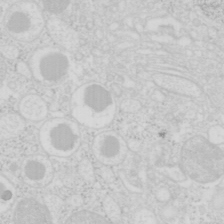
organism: Mouse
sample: Pancreas